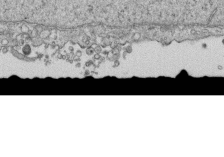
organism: Human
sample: HeLa cell HIV synapse